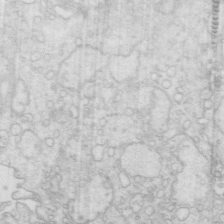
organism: Mouse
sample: Multiciliated cells